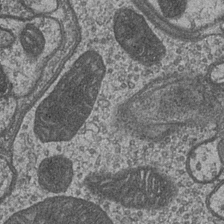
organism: Drosophila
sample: Optic medulla